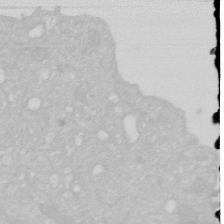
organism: Human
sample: HIV infected U937 cells